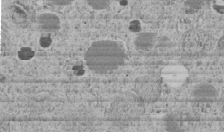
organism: C. elegans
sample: C. elegans embryo early stage